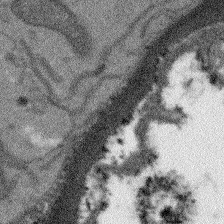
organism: Arabidopsis thaliana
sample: Root tip